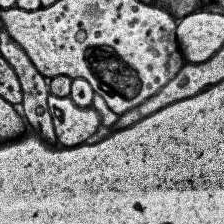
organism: Human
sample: Temporal Lobe